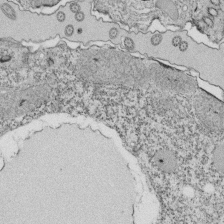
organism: Tetrahymena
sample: Cilia in tetrahymena